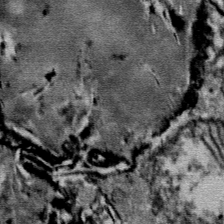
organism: Mouse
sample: Mouse Salivary gland